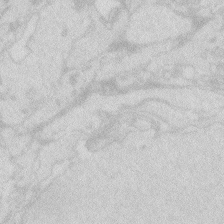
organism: Zebrafish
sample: Macrophage